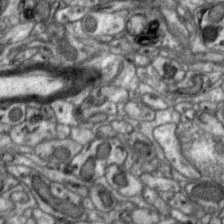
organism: Zebra finch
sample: Brain